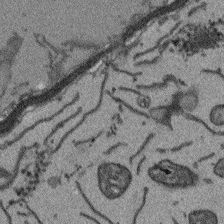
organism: Arabidopsis thaliana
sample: Root tip